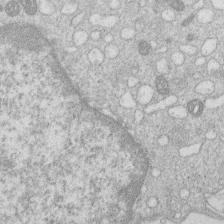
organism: Human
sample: Macrophage cells